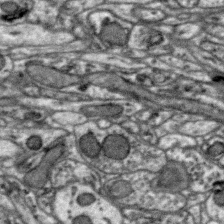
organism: Zebra finch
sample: Brain